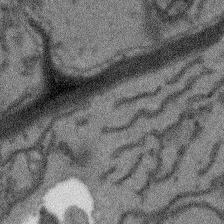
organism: Arabidopsis thaliana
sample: Root tip